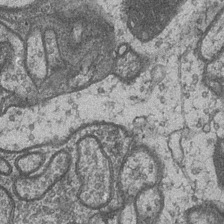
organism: Drosophila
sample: Optic medulla